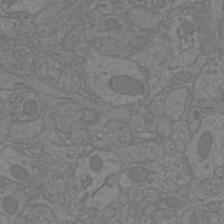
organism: Mouse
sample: Cortical neurons